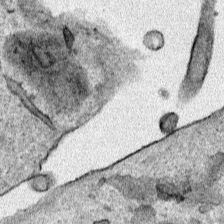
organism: Human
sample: Mitochondria in HCT116 cells